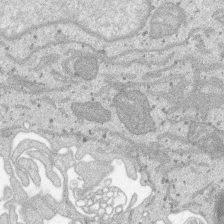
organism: Human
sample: Lung epithelial cells infected with SARS-CoV-2